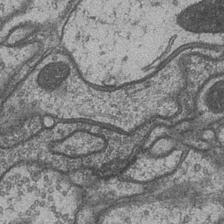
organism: Drosophila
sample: Optic medulla